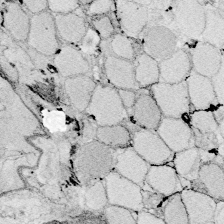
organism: Zebrafish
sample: Whole-Brain